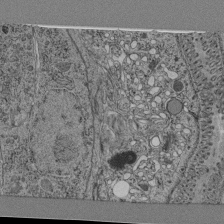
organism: C. elegans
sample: C. elegans pharynx